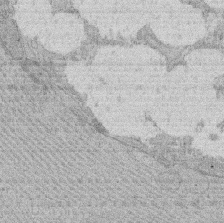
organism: Rat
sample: Salivary granule